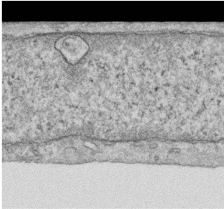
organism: Human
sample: Centriole in RPE cells